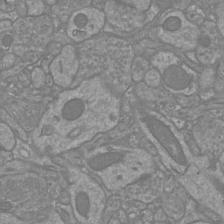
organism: Mouse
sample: Cortical neurons